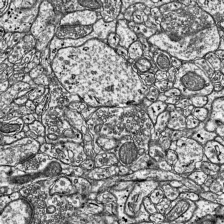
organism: Mouse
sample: Visual Cortex